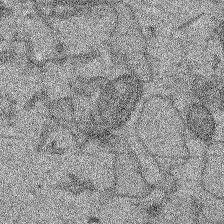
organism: Human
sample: HeLa cells